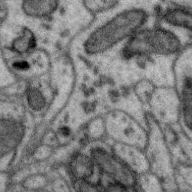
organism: Zebra finch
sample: Brain